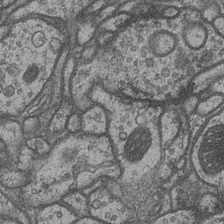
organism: Drosophila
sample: Optic medulla